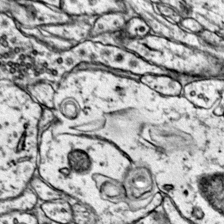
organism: Mouse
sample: Primary visual cortex